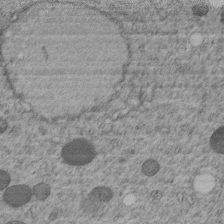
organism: C. elegans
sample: C. elegans embryo early stage